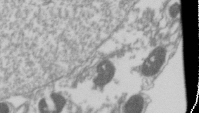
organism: Drosophila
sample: Cell division; meiosis; drosophila spermatocytes